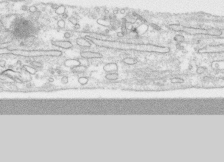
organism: Human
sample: CRL-1474